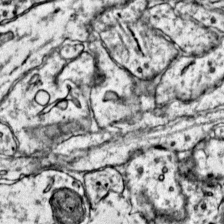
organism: Mouse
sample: Primary visual cortex